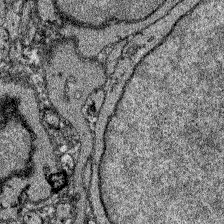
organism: Zebrafish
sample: Larval olfactory bulb